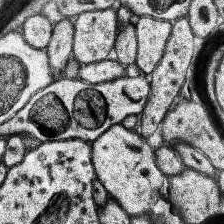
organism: Human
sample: Temporal Lobe